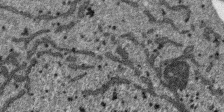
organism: Human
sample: Lung epithelial cells infected with SARS-CoV-2